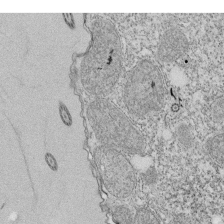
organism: Tetrahymena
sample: Cilia in tetrahymena